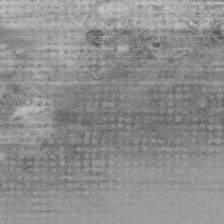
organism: Human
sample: Fibroblast cells